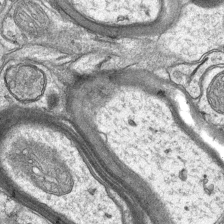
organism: Mouse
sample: CA1 Hippocampus